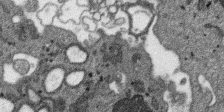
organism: Human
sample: Lung epithelial cells infected with SARS-CoV-2